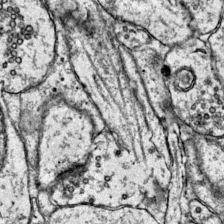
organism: Mouse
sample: Primary visual cortex